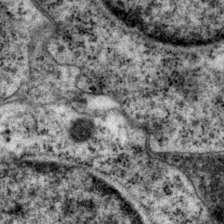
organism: P. pacificus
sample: Pharynx